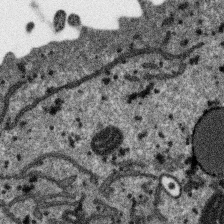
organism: Human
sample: Lung epithelial cells infected with SARS-CoV-2